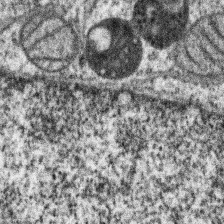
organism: Human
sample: HeLa cells